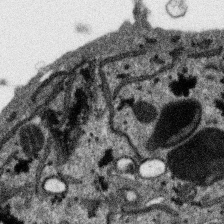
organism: Human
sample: Lung epithelial cells infected with SARS-CoV-2